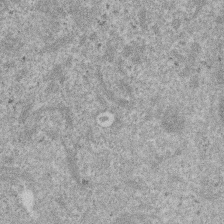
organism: Mouse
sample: Dividing mouse embryo 1 cell stage